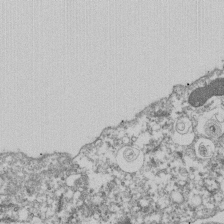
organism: Dictyostelium discoideum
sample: Dictyostelium multivesicular bodies